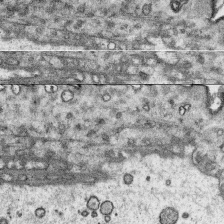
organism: Platynereis dumerilii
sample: Parapodia